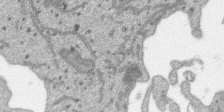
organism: Human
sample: Lung epithelial cells infected with SARS-CoV-2